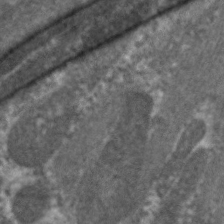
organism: C. elegans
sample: Pharynx